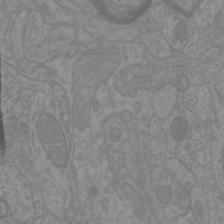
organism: Mouse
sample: Cortical neurons